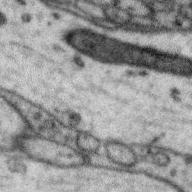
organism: Zebra finch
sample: Brain